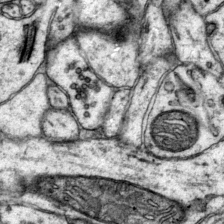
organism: Mouse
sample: Primary visual cortex